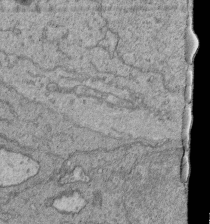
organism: Human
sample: Retinal organoid Rod and Cone cells